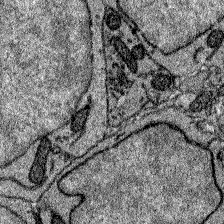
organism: Zebrafish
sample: Larval olfactory bulb